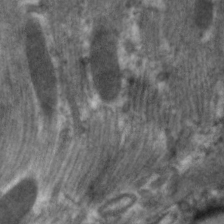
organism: C. elegans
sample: Pharynx